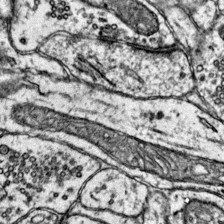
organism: Mouse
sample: Primary visual cortex